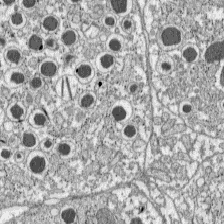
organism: C57BL Mouse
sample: Pancreatic islet